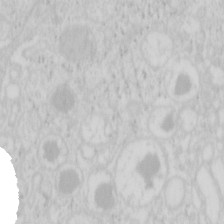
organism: Mouse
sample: Pancreas